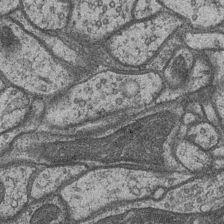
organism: Drosophila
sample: Optic medulla